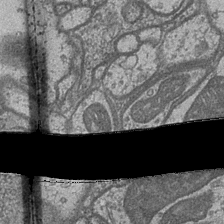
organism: Drosophila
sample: Optic medulla